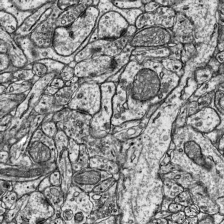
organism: Mouse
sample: Visual Cortex